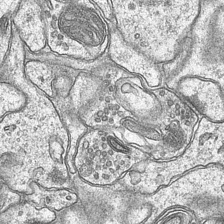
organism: Mouse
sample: CA1 Hippocampus